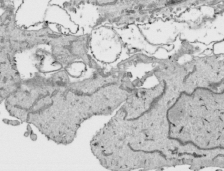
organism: Human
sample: Mitochondria in HCT116 cells